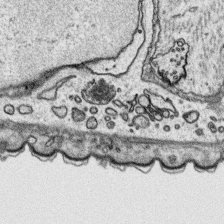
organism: Platynereis dumerilii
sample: Parapodia